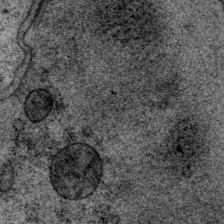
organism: P. pacificus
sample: Pharynx